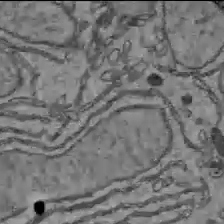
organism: C57BL Mouse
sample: Liver